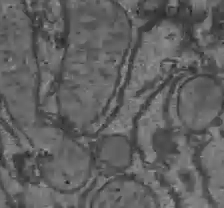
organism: C57BL Mouse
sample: Liver